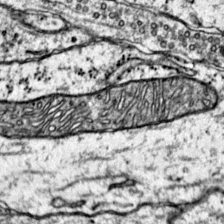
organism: Mouse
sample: Primary visual cortex